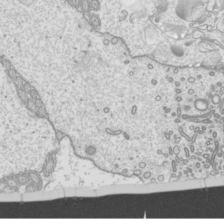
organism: Mouse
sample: Cilia; mouse epididymis